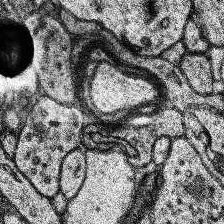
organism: Human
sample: Temporal Lobe